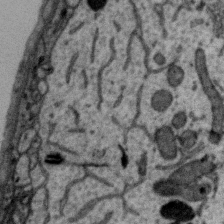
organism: Zebra finch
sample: Brain